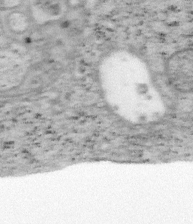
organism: Mouse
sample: OT-I killer T cells with ID8 ovarian cancer cells